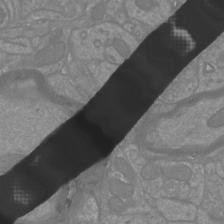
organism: Mouse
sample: Cortical neurons